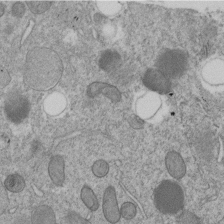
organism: C. elegans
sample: C. elegans embryo early stage